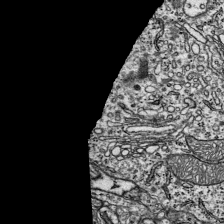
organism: Mouse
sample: Visual Cortex